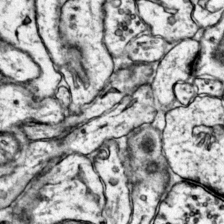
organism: Mouse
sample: Primary visual cortex